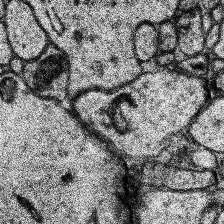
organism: Human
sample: Temporal Lobe